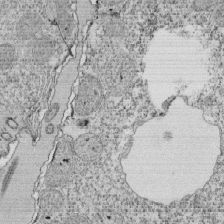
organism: Tetrahymena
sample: Cilia in tetrahymena